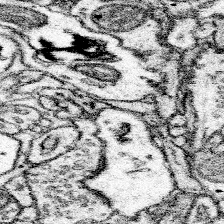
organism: Mouse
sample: Somatosensory cortex neuropil